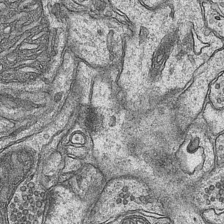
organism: Mouse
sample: CA1 Hippocampus